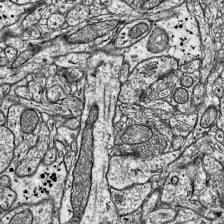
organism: Mouse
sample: Visual Cortex